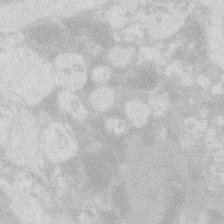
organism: Zebrafish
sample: Macrophage